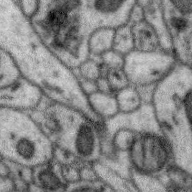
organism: Zebra finch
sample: Brain